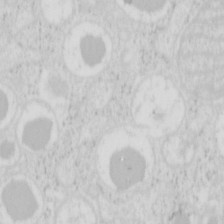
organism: Mouse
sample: Pancreas